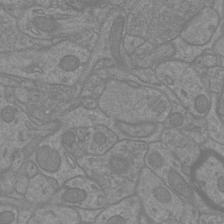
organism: Mouse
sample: Cortical neurons